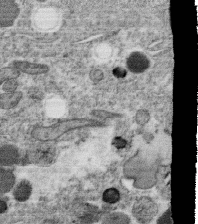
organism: C. elegans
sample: C. elegans oocyte; sperm cells